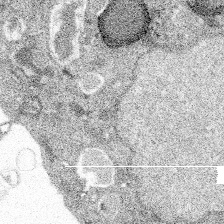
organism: Spongilla lacustris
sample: Multiple